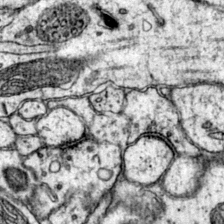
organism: Mouse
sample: Primary visual cortex